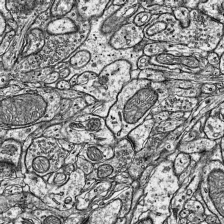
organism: Mouse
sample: Visual Cortex